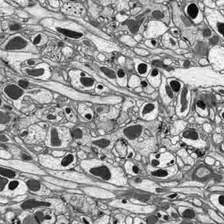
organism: Drosophila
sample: Optic lobe